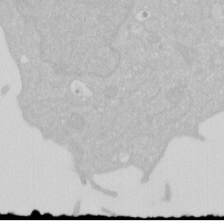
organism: Human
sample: HIV infected U937 cells